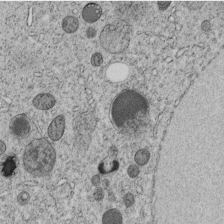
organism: C. elegans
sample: C. elegans embryo early stage